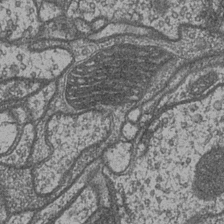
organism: Drosophila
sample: Optic medulla